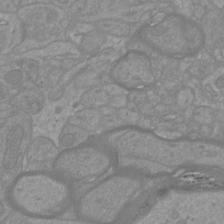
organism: Mouse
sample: Cortical neurons